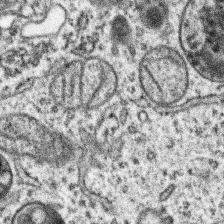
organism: Human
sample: HeLa cells